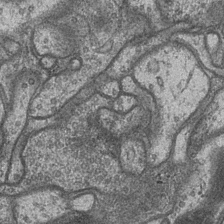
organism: Drosophila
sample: Optic medulla